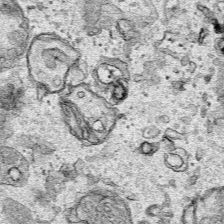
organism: Human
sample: Mitochondria in HCT116 cells